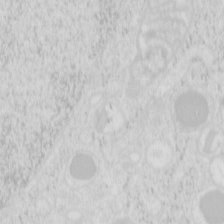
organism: Mouse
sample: Pancreas